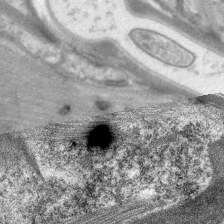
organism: C. elegans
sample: Pharynx